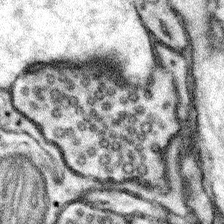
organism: Mouse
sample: Somatosensory cortex neuropil